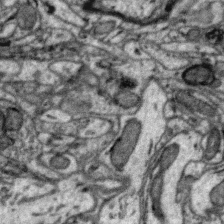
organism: Zebra finch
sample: Brain